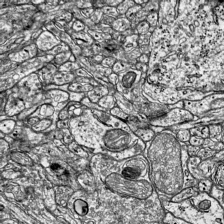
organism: Mouse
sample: Visual Cortex